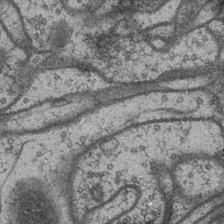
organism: Drosophila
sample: Optic medulla